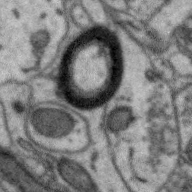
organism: Zebra finch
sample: Brain